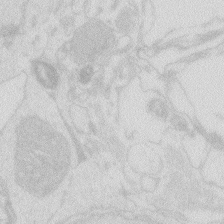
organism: Zebrafish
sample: Macrophage